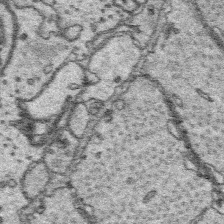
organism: Platynereis dumerilii